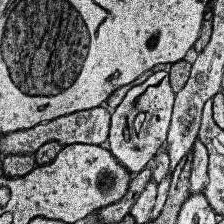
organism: Human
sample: Temporal Lobe